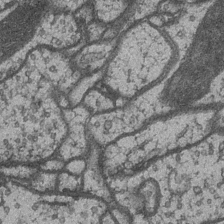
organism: Drosophila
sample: Optic medulla